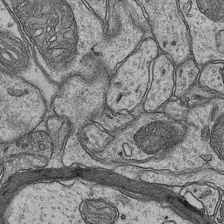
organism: Mouse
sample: CA1 Hippocampus